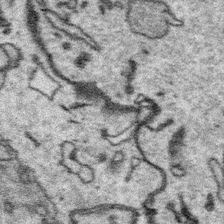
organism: Platynereis dumerilii